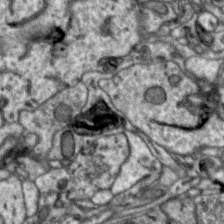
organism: Zebra finch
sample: Brain